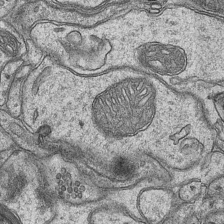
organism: Mouse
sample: CA1 Hippocampus